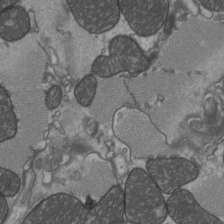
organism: C57BL Mouse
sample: Heart